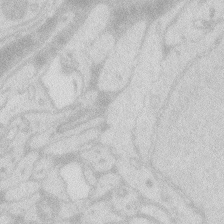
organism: Zebrafish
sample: Macrophage